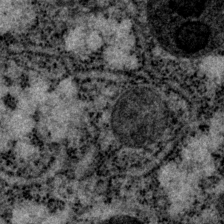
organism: P. pacificus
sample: Pharynx